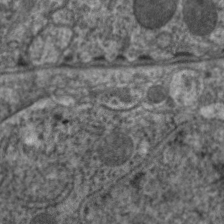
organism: C. elegans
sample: Pharynx